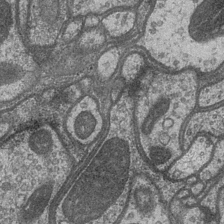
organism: Drosophila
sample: Optic medulla